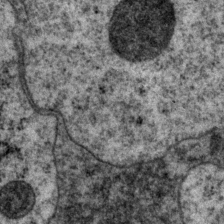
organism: P. pacificus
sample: Pharynx